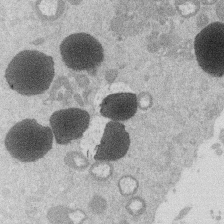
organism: Mouse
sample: Dividing mouse embryo 1 cell stage